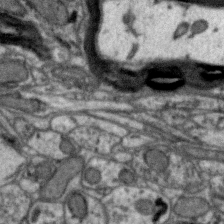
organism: Zebra finch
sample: Brain